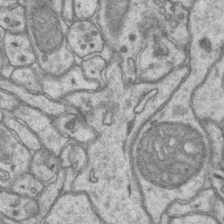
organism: Mouse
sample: CA1 Hippocampus